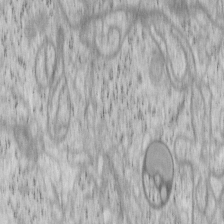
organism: Human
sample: HeLa cells